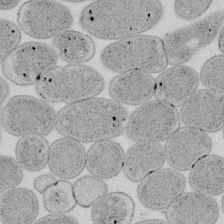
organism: E. coli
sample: Bacterial nucleoid